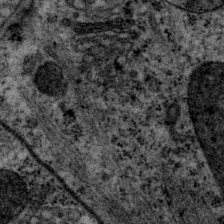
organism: P. pacificus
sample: Pharynx